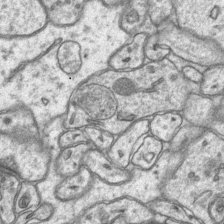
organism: Mouse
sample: CA1 Hippocampus